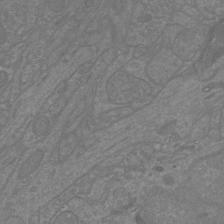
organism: Mouse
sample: Cortical neurons